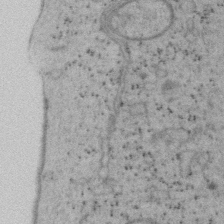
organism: Human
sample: HeLa cells